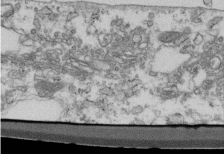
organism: Mouse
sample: Cilia; retinal pigment epithelium